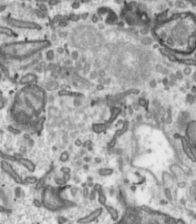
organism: Toxoplasma gondii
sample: Parasites in a vacuole inside a host cell